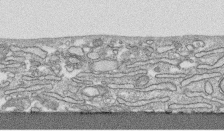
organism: Human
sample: CRL-1474